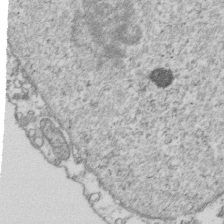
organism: Human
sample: Activated Jurkat CD4+ T cells